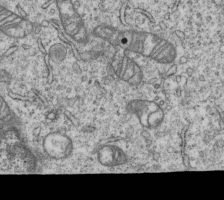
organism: Human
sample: MDA-MB-231 cells